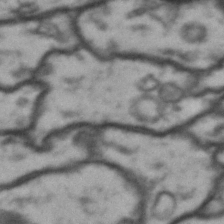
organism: Drosophila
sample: Brain